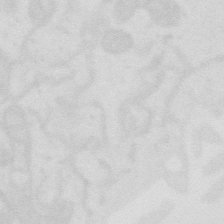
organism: Human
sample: HeLa cells